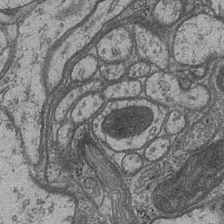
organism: Drosophila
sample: Optic medulla